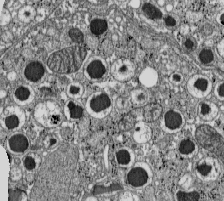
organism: C57BL Mouse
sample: Pancreatic islet